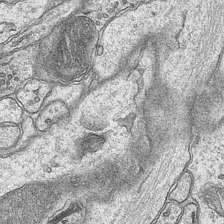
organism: Mouse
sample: CA1 Hippocampus